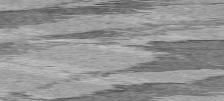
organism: C57BL Mouse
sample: Heart